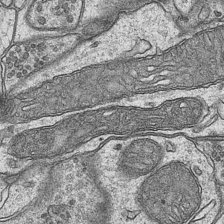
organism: Mouse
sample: CA1 Hippocampus